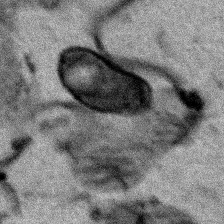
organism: Human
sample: Mitochondria in HCT116 cells